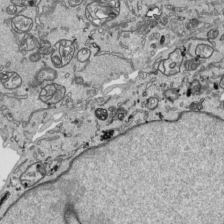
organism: Human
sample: Mitochondria in HCT116 cells